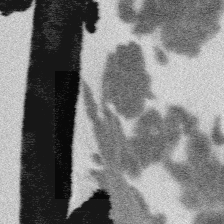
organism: Platynereis dumerilii